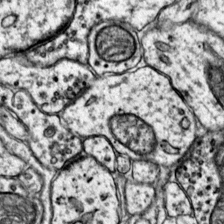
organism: Mouse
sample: Primary visual cortex